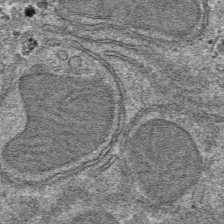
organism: Mouse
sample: Mouse hepatocytes